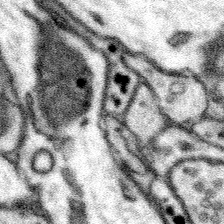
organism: Mouse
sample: Somatosensory cortex neuropil